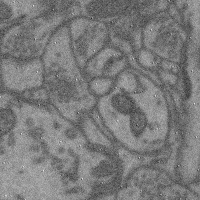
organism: Mouse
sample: Cerebral cortex